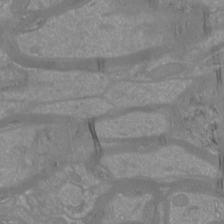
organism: Mouse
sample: Cortical neurons